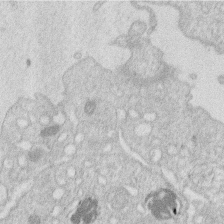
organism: Human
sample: Macrophage cells